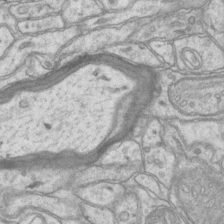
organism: Mouse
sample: CA1 Hippocampus